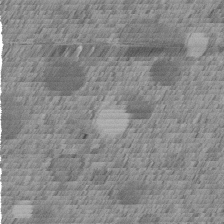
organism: C. elegans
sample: C. elegans embryo early stage